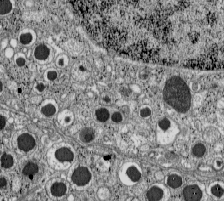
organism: C57BL Mouse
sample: Pancreatic islet